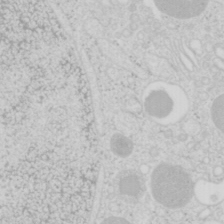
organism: Mouse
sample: Pancreas